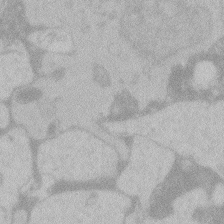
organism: Zebrafish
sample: Macrophage infected with Toxoplasma gondii